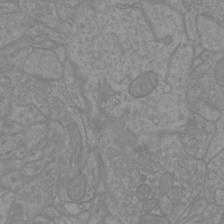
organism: Mouse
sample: Cortical neurons